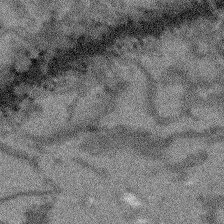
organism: Arabidopsis thaliana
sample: Root tip